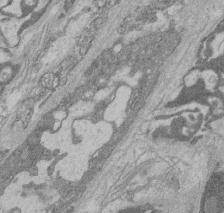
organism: Rat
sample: Salivary granule